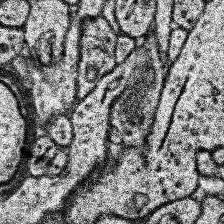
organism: Human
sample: Temporal Lobe